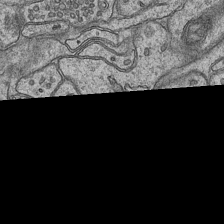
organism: Mouse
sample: CA1 Hippocampus